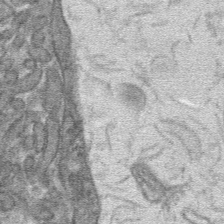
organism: Mouse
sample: Mouse hepatocytes